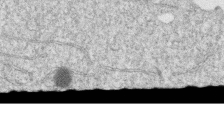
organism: Human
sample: HeLa cell HIV synapse